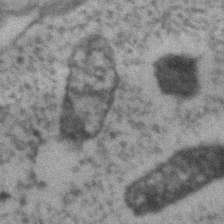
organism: Zebrafish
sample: Zebrafish embryo